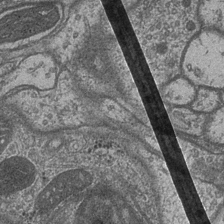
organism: Drosophila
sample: Optic medulla